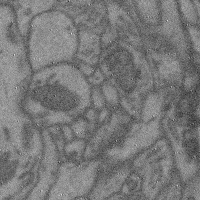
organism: Mouse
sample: Cerebral cortex